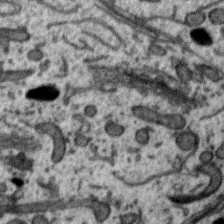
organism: Zebra finch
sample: Brain